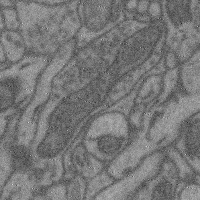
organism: Mouse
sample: Cerebral cortex